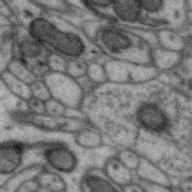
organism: Zebra finch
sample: Brain